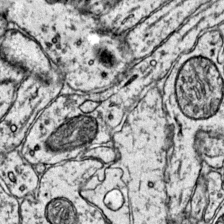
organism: Mouse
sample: Primary visual cortex